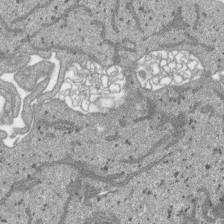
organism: Human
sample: Lung epithelial cells infected with SARS-CoV-2